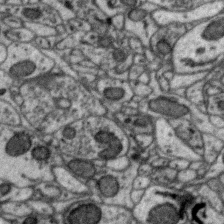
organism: Zebra finch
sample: Brain